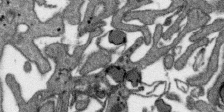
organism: Human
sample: Lung epithelial cells, uninfected (mock) control